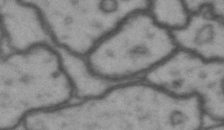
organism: Drosophila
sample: Brain